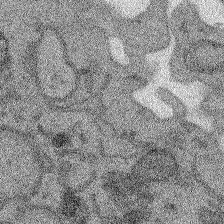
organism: Human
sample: HeLa cells